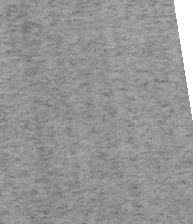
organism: Mouse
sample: OT-I killer T cells with ID8 ovarian cancer cells